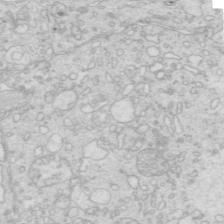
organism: Mouse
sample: Multiciliated cells